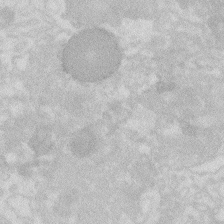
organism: Zebrafish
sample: Macrophage